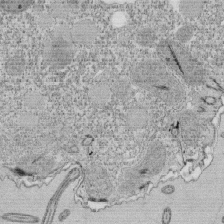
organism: Tetrahymena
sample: Cilia in tetrahymena